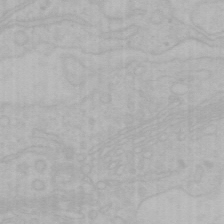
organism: Mouse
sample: Choroid plexus